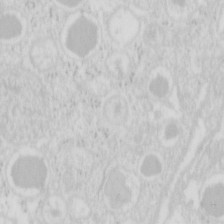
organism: Mouse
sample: Pancreas